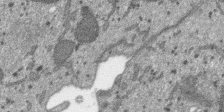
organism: Human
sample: Lung epithelial cells infected with SARS-CoV-2